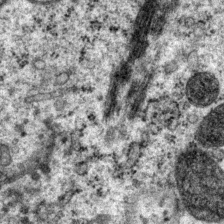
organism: P. pacificus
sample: Pharynx